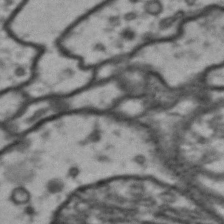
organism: Drosophila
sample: Brain